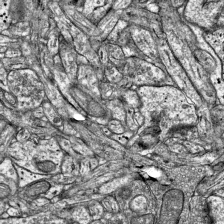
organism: Mouse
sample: Visual Cortex